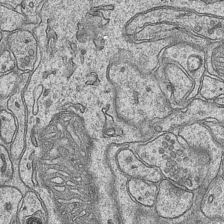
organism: Mouse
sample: CA1 Hippocampus